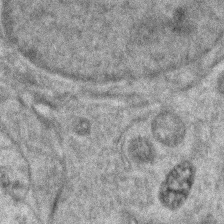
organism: Zebrafish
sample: Zebrafish embryo